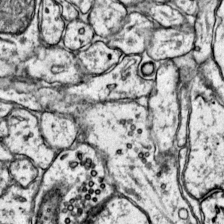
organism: Mouse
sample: Primary visual cortex